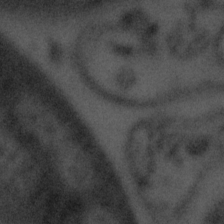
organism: Tuwongella immobilis